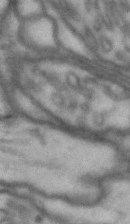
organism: Drosophila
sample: Brain